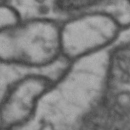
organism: Drosophila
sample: Brain